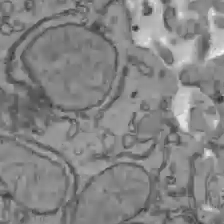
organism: C57BL Mouse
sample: Liver